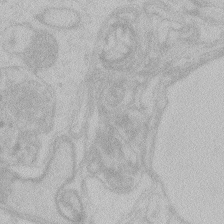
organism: Zebrafish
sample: Macrophage infected with Toxoplasma gondii